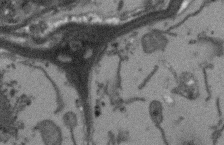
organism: Arabidopsis thaliana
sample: Root tip